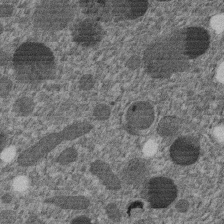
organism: C. elegans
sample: C. elegans embryo early stage